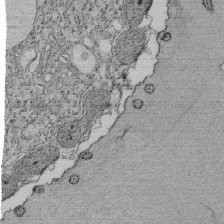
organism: Tetrahymena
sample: Cilia in tetrahymena